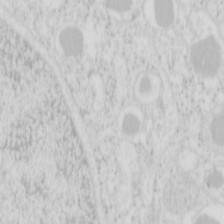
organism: Mouse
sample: Pancreas